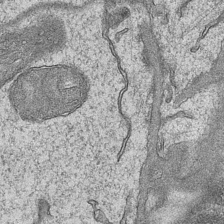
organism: Mouse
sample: CA1 Hippocampus